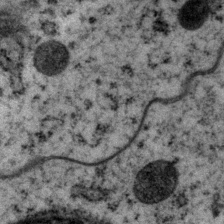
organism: P. pacificus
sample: Pharynx